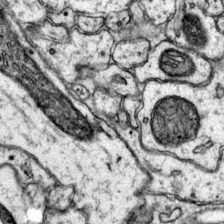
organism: Mouse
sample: Primary visual cortex